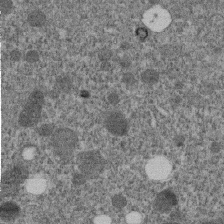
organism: C. elegans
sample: C. elegans embryo early stage